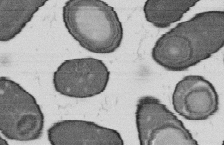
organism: B. subtilis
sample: Bacterial spore